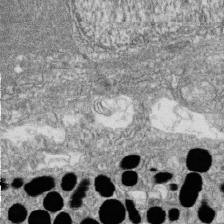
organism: Zebrafish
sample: Cilia; retinal pigment epithelium